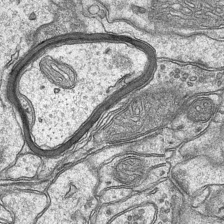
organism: Mouse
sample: CA1 Hippocampus